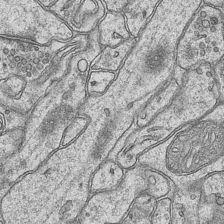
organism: Mouse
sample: CA1 Hippocampus